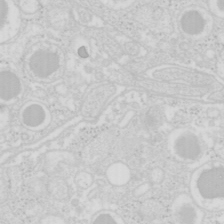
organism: Mouse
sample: Pancreas